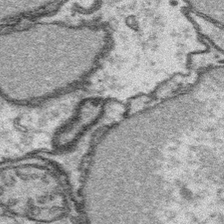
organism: Platynereis dumerilii